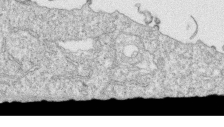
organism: Human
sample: HeLa cell HIV synapse